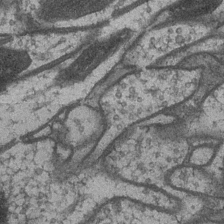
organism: Drosophila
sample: Optic medulla